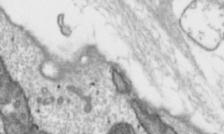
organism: Toxoplasma gondii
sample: Parasites in a vacuole inside a host cell